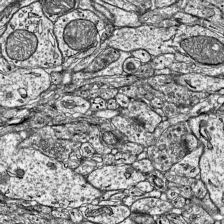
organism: Mouse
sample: Visual Cortex